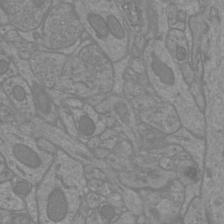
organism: Mouse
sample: Cortical neurons